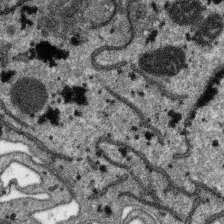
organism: Human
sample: Lung epithelial cells infected with SARS-CoV-2